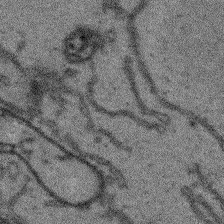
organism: Arabidopsis thaliana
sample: Root tip